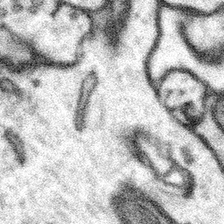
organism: Mouse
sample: Somatosensory cortex neuropil